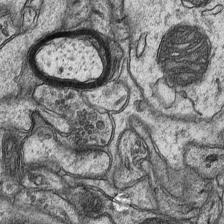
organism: Mouse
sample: CA1 Hippocampus